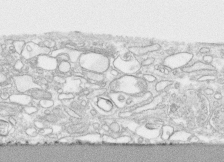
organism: Human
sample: CRL-1474